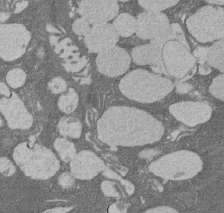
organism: Rat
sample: Salivary granule